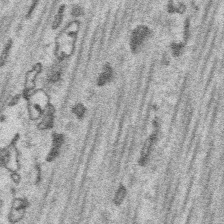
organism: Platynereis dumerilii